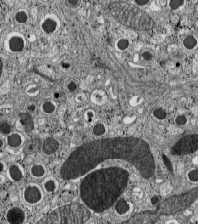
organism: C57BL Mouse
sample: Pancreatic islet